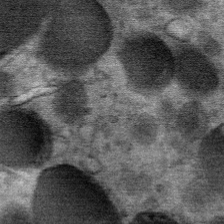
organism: Mouse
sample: Mouse Salivary gland